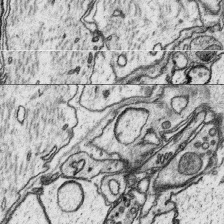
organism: Platynereis dumerilii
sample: Parapodia